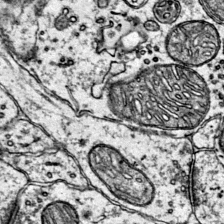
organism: Mouse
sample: Primary visual cortex